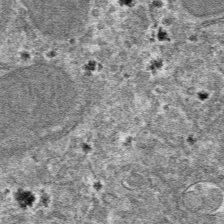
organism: Mouse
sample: Mouse hepatocytes